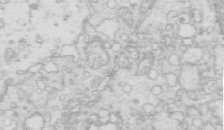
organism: Mouse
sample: Multiciliated cells